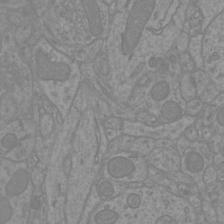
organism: Mouse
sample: Cortical neurons